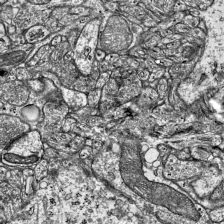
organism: Mouse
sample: Visual Cortex